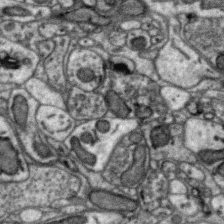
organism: Zebra finch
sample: Brain